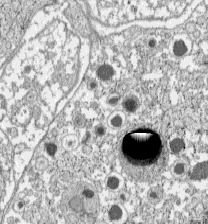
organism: C57BL Mouse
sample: Pancreatic islet